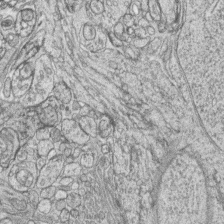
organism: Zebrafish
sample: synaptic ribbons in rod cells and cone cells